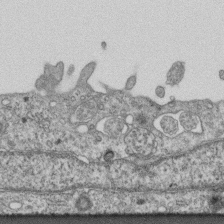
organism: Mouse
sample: Centriole in ependymal cells